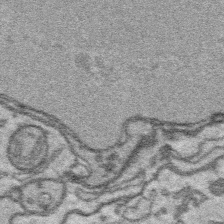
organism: Platynereis dumerilii